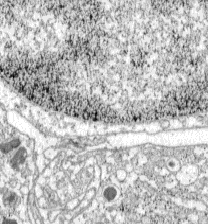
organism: C57BL Mouse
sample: Pancreatic islet